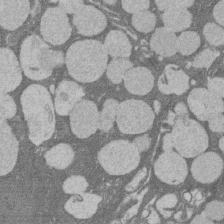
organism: Rat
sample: Salivary granule